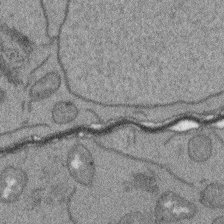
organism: Arabidopsis thaliana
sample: Root tip